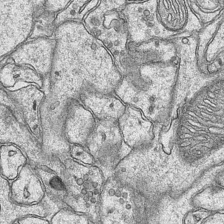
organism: Mouse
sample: CA1 Hippocampus